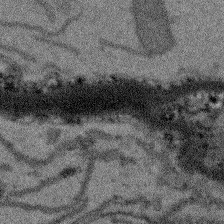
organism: Arabidopsis thaliana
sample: Root tip